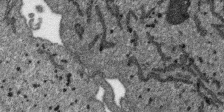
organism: Human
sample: Lung epithelial cells infected with SARS-CoV-2